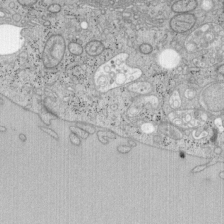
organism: Mouse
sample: OT-I killer T cells with ID8 ovarian cancer cells